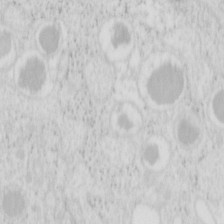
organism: Mouse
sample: Pancreas